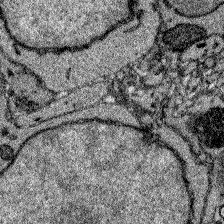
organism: Zebrafish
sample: Larval olfactory bulb